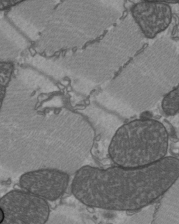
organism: C57BL Mouse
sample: Heart